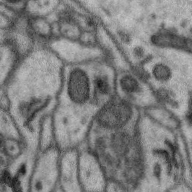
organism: Zebra finch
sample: Brain